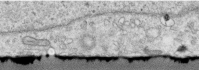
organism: Human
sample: Centriole in RPE cells